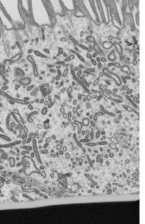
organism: Mouse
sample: Mouse epididymis efferent ductule cilia